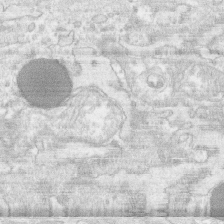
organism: Human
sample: CRL-1474